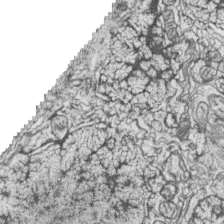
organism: Zebrafish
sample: synaptic ribbons in rod cells and cone cells